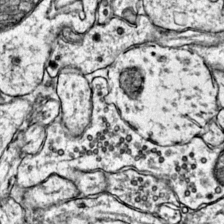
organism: Mouse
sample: Primary visual cortex